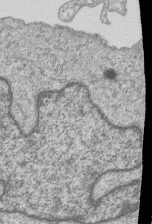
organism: Human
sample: MDA-MB-231 cells